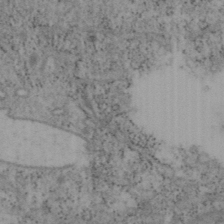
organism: Mouse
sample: OT-I killer T cells with ID8 ovarian cancer cells